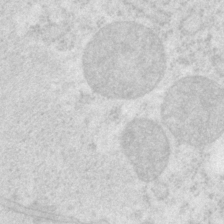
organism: P. pacificus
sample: Pharynx